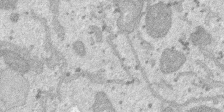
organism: Human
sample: Lung epithelial cells infected with SARS-CoV-2